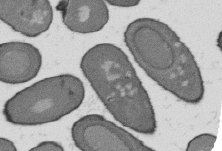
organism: B. subtilis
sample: Bacterial spore